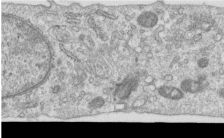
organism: Human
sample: Centriole in RPE cells